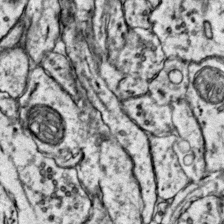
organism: Mouse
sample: Primary visual cortex